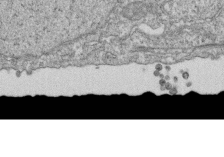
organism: Human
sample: HeLa cell HIV synapse